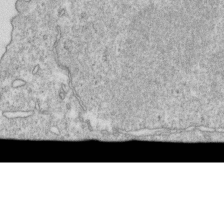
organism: Mouse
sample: Activated OT-1 CD8+ T cells